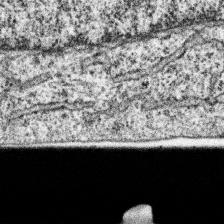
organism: Human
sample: HeLa cells